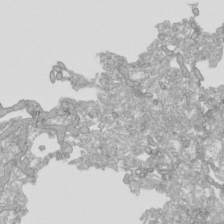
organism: Human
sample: Mitochondria in HCT116 cells